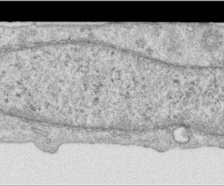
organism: Human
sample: Centriole in RPE cells